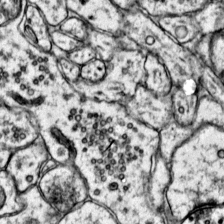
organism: Mouse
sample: Primary visual cortex